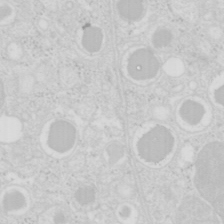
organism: Mouse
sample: Pancreas